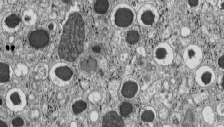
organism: C57BL Mouse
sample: Pancreatic islet